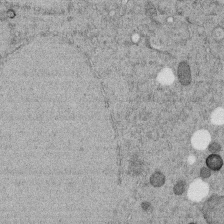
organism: C. elegans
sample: C. elegans embryo early stage